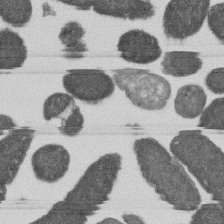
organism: E. coli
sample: Bacterial nucleoid